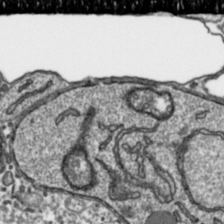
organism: Toxoplasma gondii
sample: Parasites in a vacuole inside a host cell